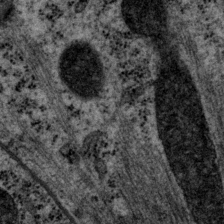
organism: P. pacificus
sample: Pharynx